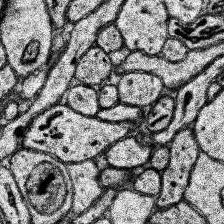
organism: Human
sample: Temporal Lobe